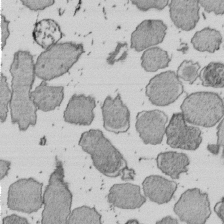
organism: E. coli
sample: Bacterial nucleoid